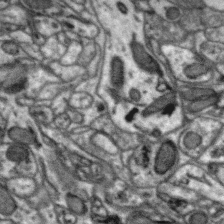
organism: Zebra finch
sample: Brain